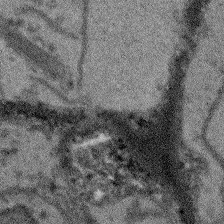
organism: Arabidopsis thaliana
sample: Root tip